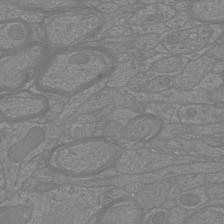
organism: Mouse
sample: Cortical neurons